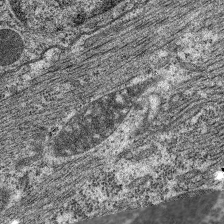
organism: C. elegans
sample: Pharynx